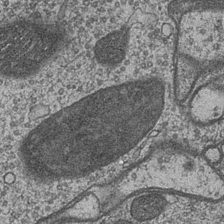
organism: Drosophila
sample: Optic medulla